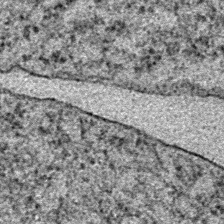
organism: E. coli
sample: E. Coli Bacteria